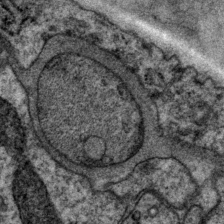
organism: P. pacificus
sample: Pharynx